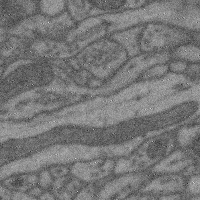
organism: Mouse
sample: Cerebral cortex